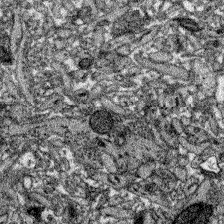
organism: Zebrafish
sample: Larval olfactory bulb